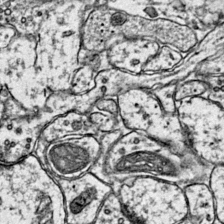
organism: Mouse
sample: Primary visual cortex